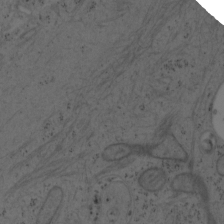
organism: Mouse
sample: OT-I killer T cells with ID8 ovarian cancer cells